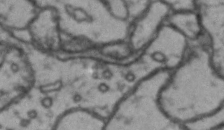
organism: Drosophila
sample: Brain